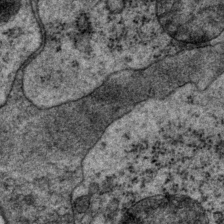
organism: P. pacificus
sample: Pharynx